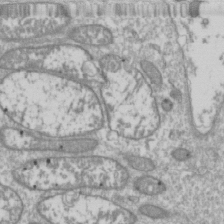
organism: Drosophila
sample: Cell division; meiosis; drosophila spermatocytes